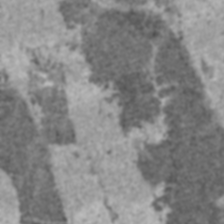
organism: C57BL Mouse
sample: Heart